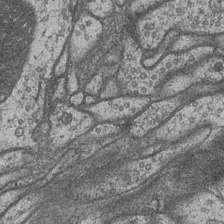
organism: Drosophila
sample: Optic medulla